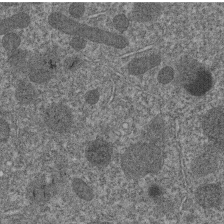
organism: C. elegans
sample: C. elegans embryo early stage